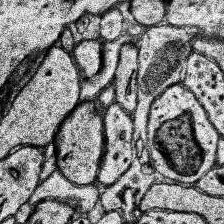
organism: Human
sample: Temporal Lobe